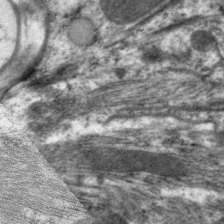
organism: C. elegans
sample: Pharynx